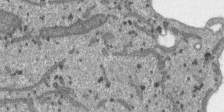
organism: Human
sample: Lung epithelial cells infected with SARS-CoV-2